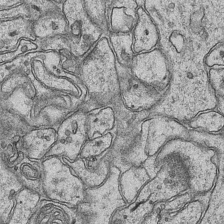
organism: Mouse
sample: CA1 Hippocampus